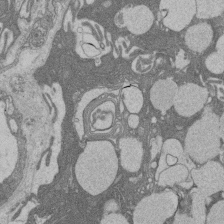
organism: Rat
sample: Salivary granule